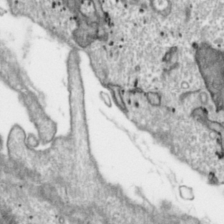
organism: Toxoplasma gondii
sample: Parasites in a vacuole inside a host cell